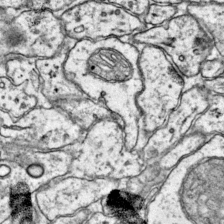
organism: Mouse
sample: Primary visual cortex